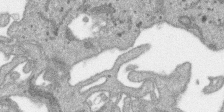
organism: Human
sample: Lung epithelial cells infected with SARS-CoV-2